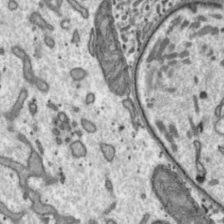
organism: Toxoplasma gondii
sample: Parasites in a vacuole inside a host cell